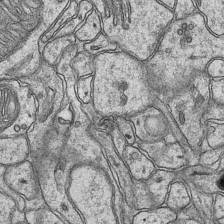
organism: Mouse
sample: CA1 Hippocampus